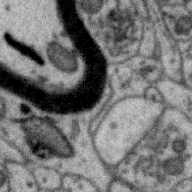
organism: Zebra finch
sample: Brain